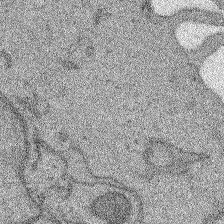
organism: Human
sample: HeLa cells